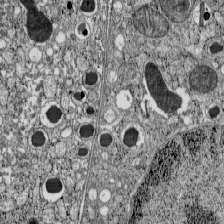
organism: C57BL Mouse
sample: Pancreatic islet